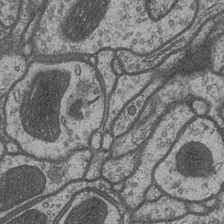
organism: Drosophila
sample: Optic medulla